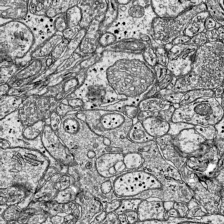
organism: Mouse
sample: Visual Cortex